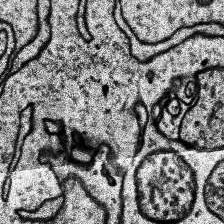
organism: Human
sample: Temporal Lobe